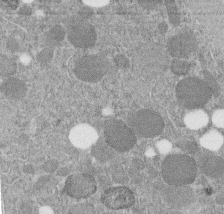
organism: C. elegans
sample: C. elegans embryo early stage